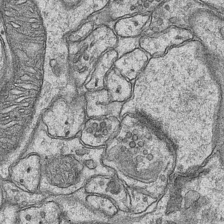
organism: Mouse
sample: CA1 Hippocampus